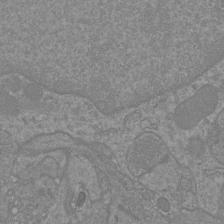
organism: Mouse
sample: Cortical neurons